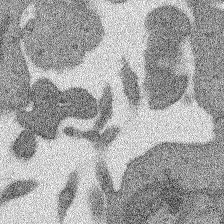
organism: Human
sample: HeLa cells